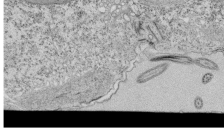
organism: Tetrahymena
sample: Cilia in tetrahymena